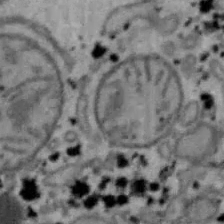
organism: Mouse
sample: Liver